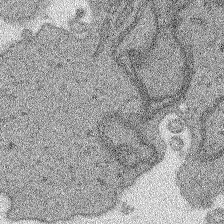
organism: Human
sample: HeLa cells